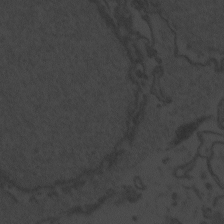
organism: Zebrafish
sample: Macrophage infected with Toxoplasma gondii